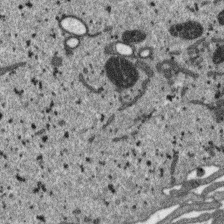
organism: Human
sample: Lung epithelial cells infected with SARS-CoV-2